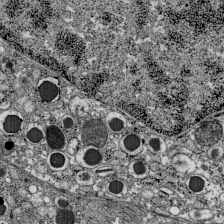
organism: C57BL Mouse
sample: Pancreatic islet